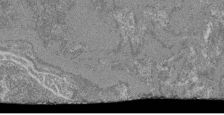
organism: Mouse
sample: Glomerulus